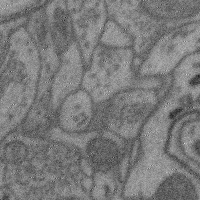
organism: Mouse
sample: Cerebral cortex